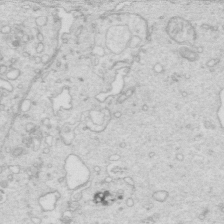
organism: Mouse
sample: Multiciliated cells